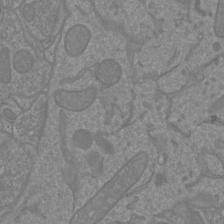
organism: Mouse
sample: Cortical neurons